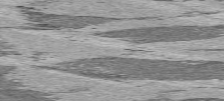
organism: C57BL Mouse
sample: Heart